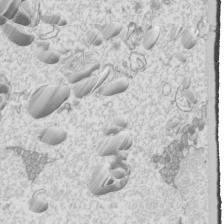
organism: Mouse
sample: Cilia; mouse epididymis